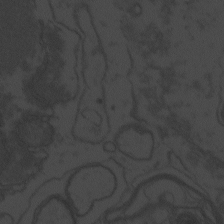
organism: Zebrafish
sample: Macrophage infected with Toxoplasma gondii